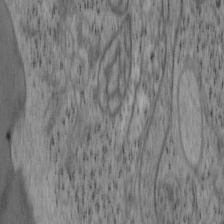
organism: Human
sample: HeLa cells